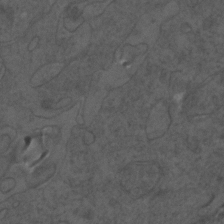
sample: Trachea